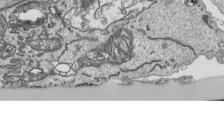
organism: Human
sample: Mitochondria in HCT116 cells